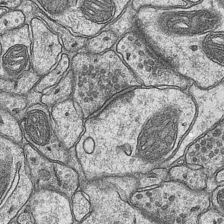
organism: Mouse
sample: CA1 Hippocampus